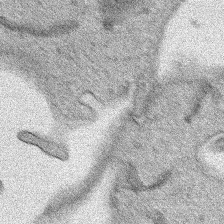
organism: Human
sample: Mitochondria in HCT116 cells